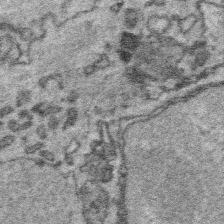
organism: Platynereis dumerilii